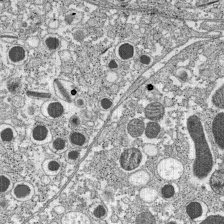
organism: C57BL Mouse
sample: Pancreatic islet